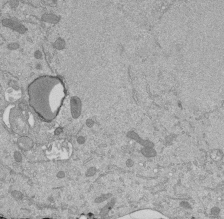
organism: Mouse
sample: ED-1 cell nuclei; centrioles